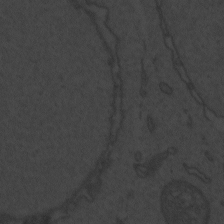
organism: Zebrafish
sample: Macrophage infected with Toxoplasma gondii